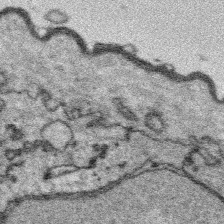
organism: Platynereis dumerilii